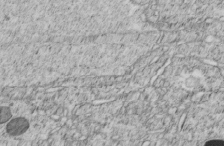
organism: C. elegans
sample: C. elegans embryo early stage